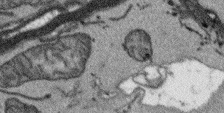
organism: Arabidopsis thaliana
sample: Root tip